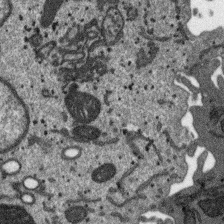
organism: Human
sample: Lung epithelial cells infected with SARS-CoV-2